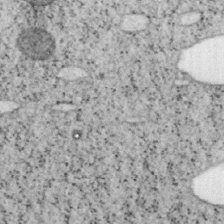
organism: Mouse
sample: OT-I killer T cells with ID8 ovarian cancer cells